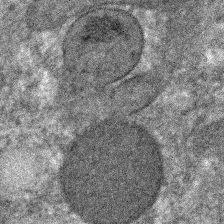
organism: C. elegans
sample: C. elegans embryo